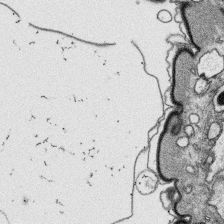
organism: Platynereis dumerilii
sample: Parapodia